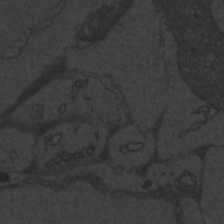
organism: Zebrafish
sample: Macrophage infected with Toxoplasma gondii